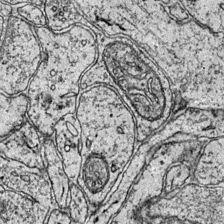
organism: Mouse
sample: Primary visual cortex